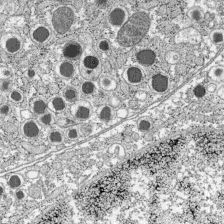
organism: C57BL Mouse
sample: Pancreatic islet